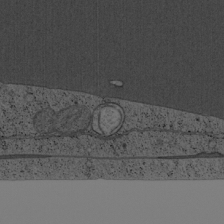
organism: African green monkey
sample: COS-7 cells